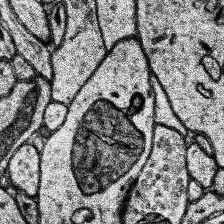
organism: Human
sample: Temporal Lobe